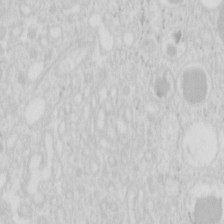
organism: Mouse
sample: Pancreas